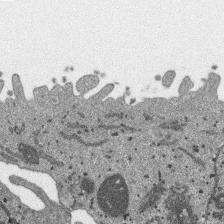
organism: Human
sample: Lung epithelial cells infected with SARS-CoV-2